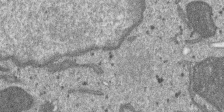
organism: Human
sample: Lung epithelial cells infected with SARS-CoV-2